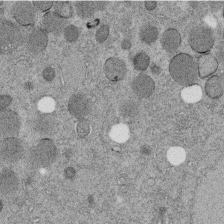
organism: C. elegans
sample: C. elegans embryo early stage